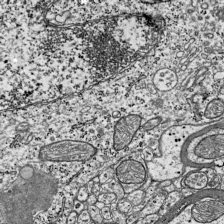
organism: Mouse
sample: Visual Cortex